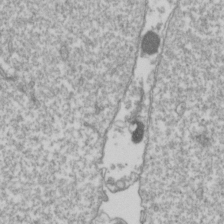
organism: Drosophila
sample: Cell division; meiosis; drosophila spermatocytes